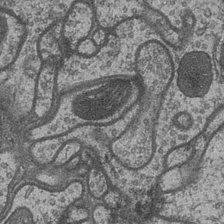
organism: Drosophila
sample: Optic medulla